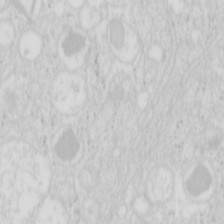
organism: Mouse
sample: Pancreas